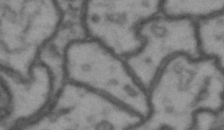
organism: Drosophila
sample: Brain